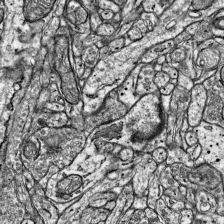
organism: Mouse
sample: Visual Cortex